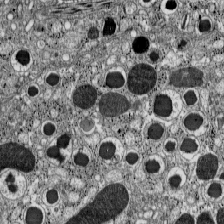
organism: C57BL Mouse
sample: Pancreatic islet